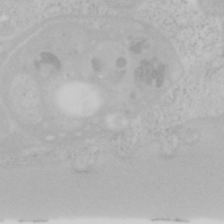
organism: Mouse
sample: OT-I killer T cells with ID8 ovarian cancer cells